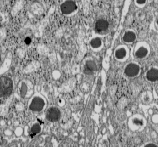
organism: C57BL Mouse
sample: Pancreatic islet